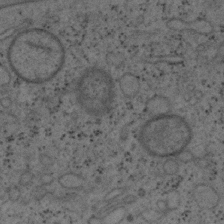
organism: Human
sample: HeLa cells